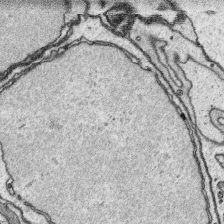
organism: Platynereis dumerilii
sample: Parapodia